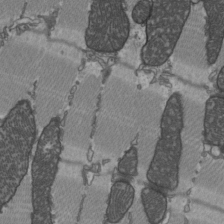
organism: C57BL Mouse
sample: Heart